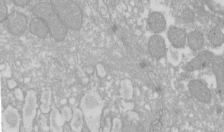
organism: Xenopus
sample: Cilia; centrioles in frog embryo cells